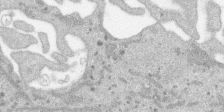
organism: Human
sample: Lung epithelial cells infected with SARS-CoV-2